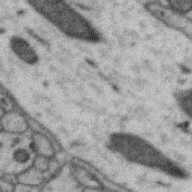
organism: Zebra finch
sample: Brain